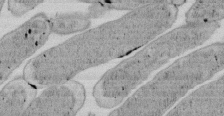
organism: E. coli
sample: Bacterial nucleoid